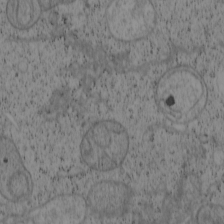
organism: African green monkey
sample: COS-7 cells